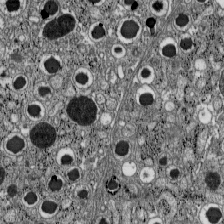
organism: C57BL Mouse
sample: Pancreatic islet